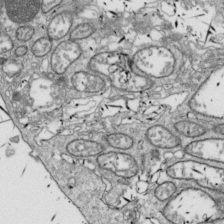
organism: Drosophila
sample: Cell division; meiosis; drosophila spermatocytes